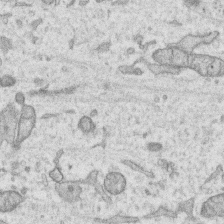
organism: Human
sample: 1205lu cells